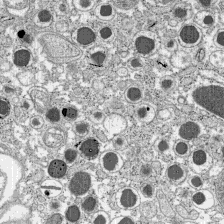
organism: C57BL Mouse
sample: Pancreatic islet